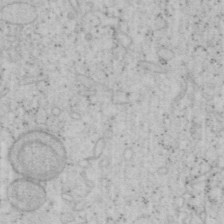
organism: Human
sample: HeLa cells